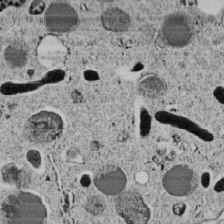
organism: C. elegans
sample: C. elegans embryo early stage